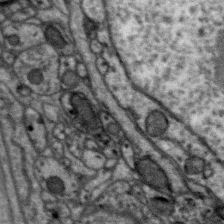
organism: Zebra finch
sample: Brain